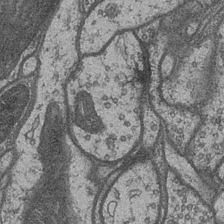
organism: Drosophila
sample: Optic medulla